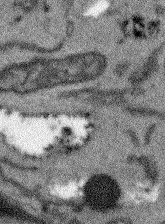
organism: Arabidopsis thaliana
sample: Root tip